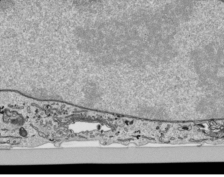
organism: Human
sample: Mitochondria in HCT116 cells